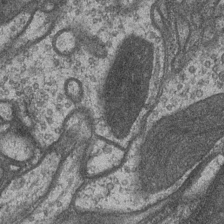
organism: Drosophila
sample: Optic medulla